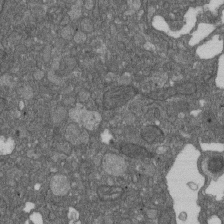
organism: Drosophila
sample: Nephrocyte